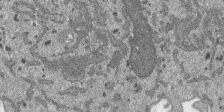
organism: Human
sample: Lung epithelial cells infected with SARS-CoV-2